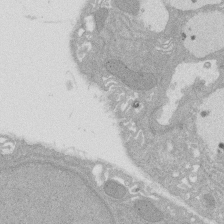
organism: Rat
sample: Salivary granule